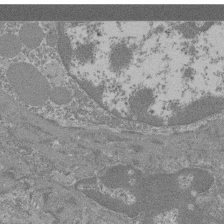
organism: Mouse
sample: Glomerulus